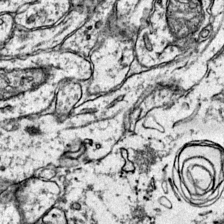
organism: Mouse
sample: Primary visual cortex